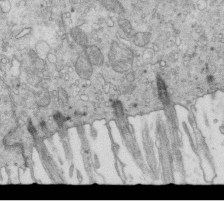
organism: Mouse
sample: Multiciliated cells